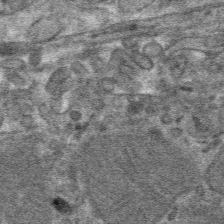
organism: Mouse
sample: Mouse hepatocytes